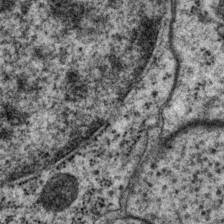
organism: P. pacificus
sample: Pharynx